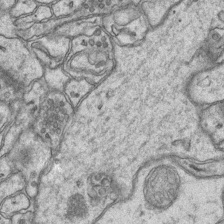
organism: Mouse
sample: CA1 Hippocampus